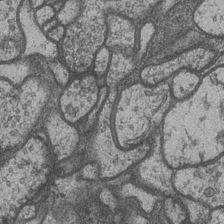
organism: Drosophila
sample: Optic medulla